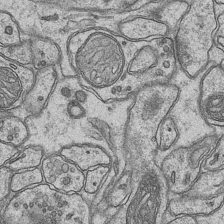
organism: Mouse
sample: CA1 Hippocampus